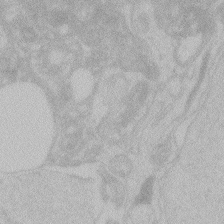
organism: Zebrafish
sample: Macrophage infected with Toxoplasma gondii